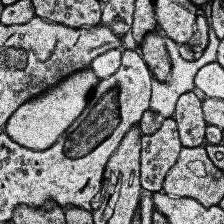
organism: Human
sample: Temporal Lobe